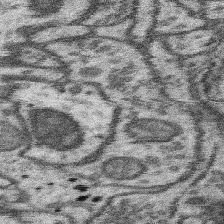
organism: Mouse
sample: Somatosensory cortex neuropil